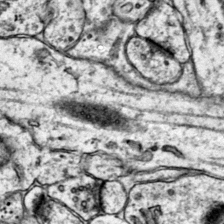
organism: Mouse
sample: Primary visual cortex